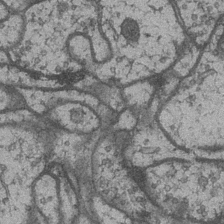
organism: Drosophila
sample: Optic medulla